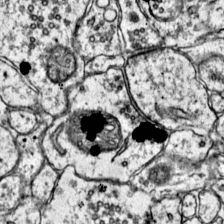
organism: Mouse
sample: Primary visual cortex